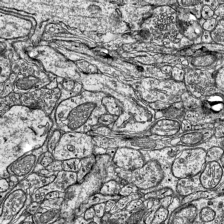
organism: Mouse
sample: Visual Cortex